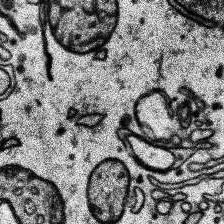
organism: Human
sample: Temporal Lobe